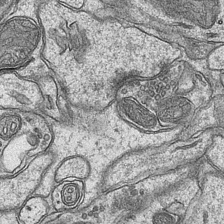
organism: Mouse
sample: CA1 Hippocampus